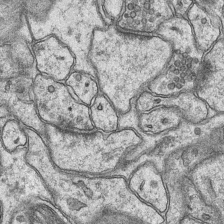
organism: Mouse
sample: CA1 Hippocampus